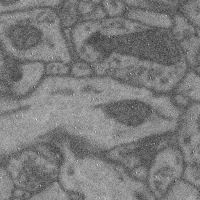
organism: Mouse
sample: Cerebral cortex